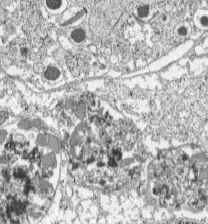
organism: C57BL Mouse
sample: Pancreatic islet